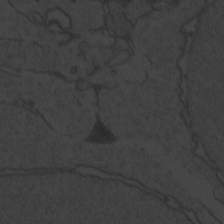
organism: Zebrafish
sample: Macrophage infected with Toxoplasma gondii